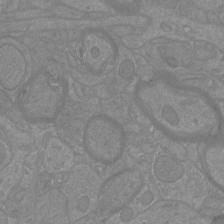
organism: Mouse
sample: Cortical neurons